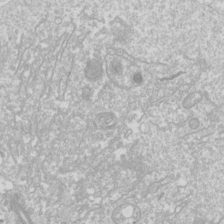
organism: Drosophila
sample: Cell division; meiosis; drosophila spermatocytes